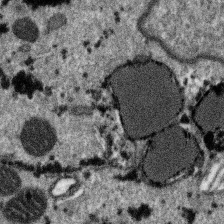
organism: Human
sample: Lung epithelial cells infected with SARS-CoV-2